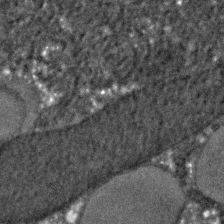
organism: C. elegans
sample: C. elegans embryo